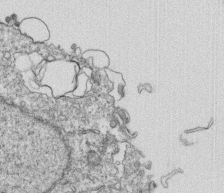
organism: Human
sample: HeLa cell HIV synapse